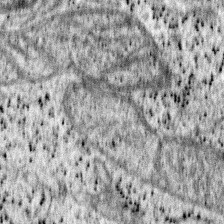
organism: Human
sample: HeLa cells